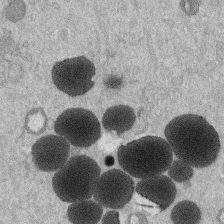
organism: Mouse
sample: Dividing mouse embryo 1 cell stage